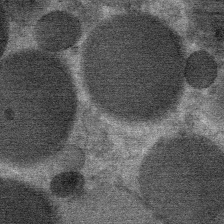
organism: Mouse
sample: Mouse Salivary gland